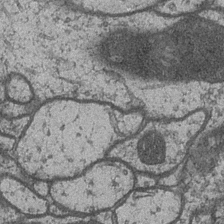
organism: Drosophila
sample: Optic medulla